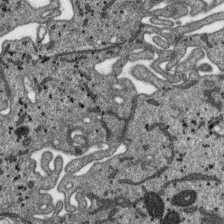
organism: Human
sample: Lung epithelial cells infected with SARS-CoV-2